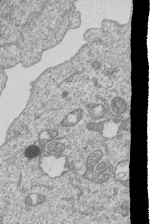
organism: Human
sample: MDA-MB-231 cells